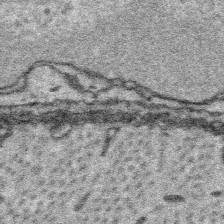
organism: Platynereis dumerilii